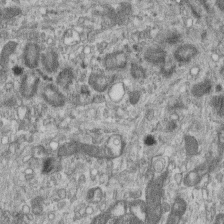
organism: Mouse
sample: Centriole in ependymal cells